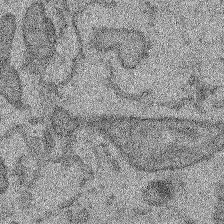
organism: Human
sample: HeLa cells